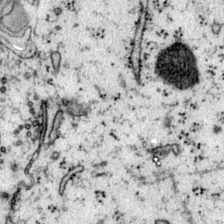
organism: Mouse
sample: Primary visual cortex